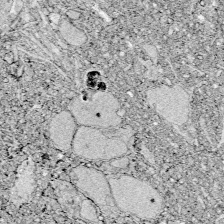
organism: Zebrafish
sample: Whole-Brain